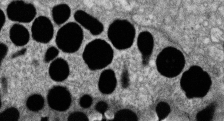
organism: Zebrafish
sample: Cilia; retinal pigment epithelium